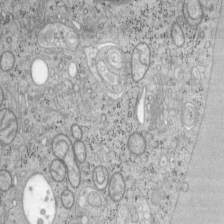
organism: Mouse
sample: OT-I killer T cells with ID8 ovarian cancer cells